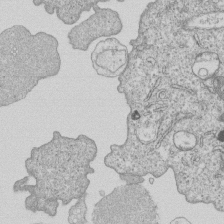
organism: Human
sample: MDA-MB-231 cells